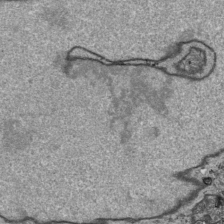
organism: Human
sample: Mitochondria in HCT116 cells